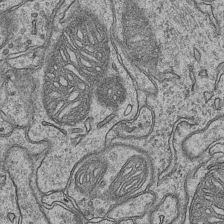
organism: Mouse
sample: CA1 Hippocampus